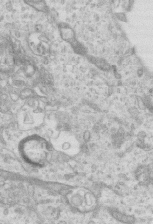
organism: Mouse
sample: Centriole in ependymal cells